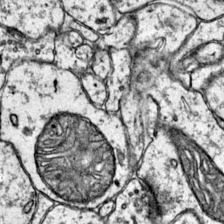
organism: Mouse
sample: Primary visual cortex